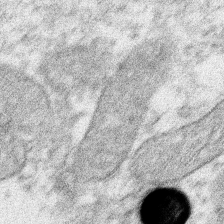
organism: Xenopus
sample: Cilia; centrioles in frog embryo cells